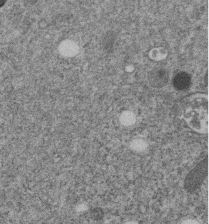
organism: C. elegans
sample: C. elegans embryo early stage